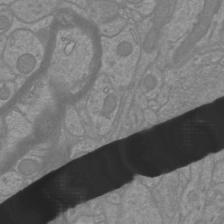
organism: Mouse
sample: Cortical neurons